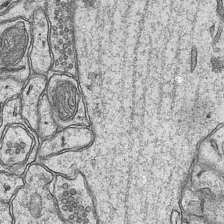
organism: Mouse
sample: CA1 Hippocampus